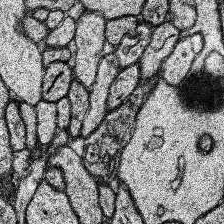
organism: Human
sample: Temporal Lobe